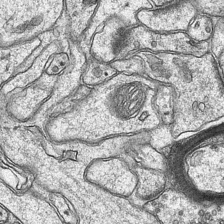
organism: Mouse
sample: CA1 Hippocampus